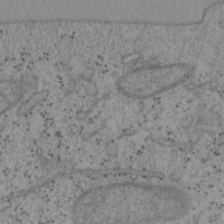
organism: Human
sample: HeLa cells